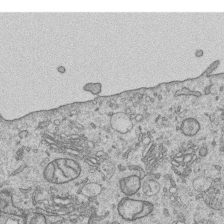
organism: Human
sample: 1205lu cells